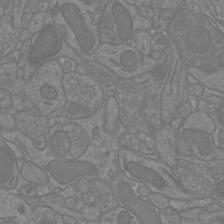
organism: Mouse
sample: Cortical neurons